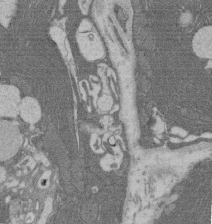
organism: Rat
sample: Salivary granule